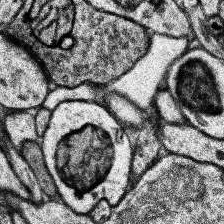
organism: Human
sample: Temporal Lobe